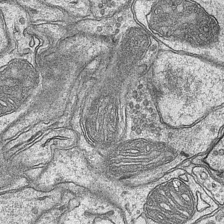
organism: Mouse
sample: CA1 Hippocampus